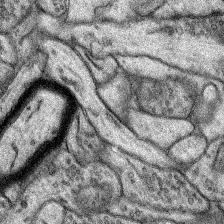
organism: Rat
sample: Hippocampus